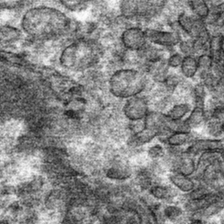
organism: Mouse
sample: Mouse hepatocytes